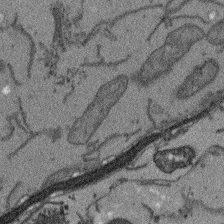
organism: Arabidopsis thaliana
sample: Root tip